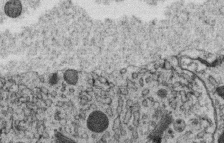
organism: C. elegans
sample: C. elegans oocyte; sperm cells